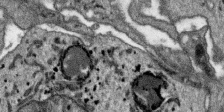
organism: Human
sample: Lung epithelial cells, uninfected (mock) control